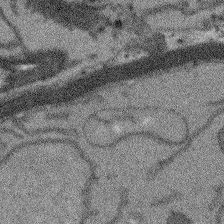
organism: Arabidopsis thaliana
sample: Root tip